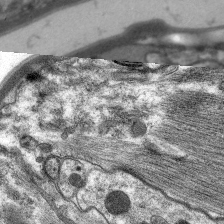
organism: C. elegans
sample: Pharynx